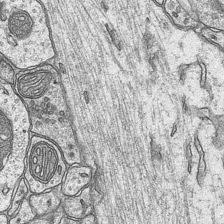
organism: Mouse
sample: CA1 Hippocampus